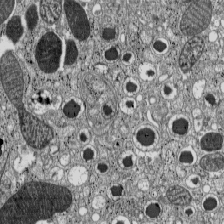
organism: C57BL Mouse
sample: Pancreatic islet